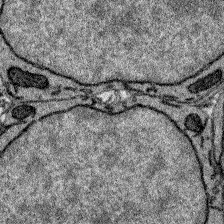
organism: Zebrafish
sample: Larval olfactory bulb